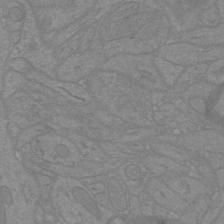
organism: Mouse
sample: Cortical neurons